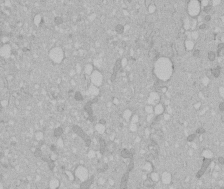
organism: Human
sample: Melanocyte Keratinocyte synapse skin construct